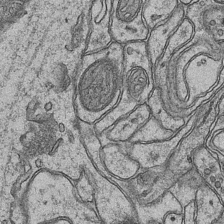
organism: Mouse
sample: CA1 Hippocampus